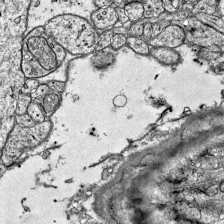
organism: Mouse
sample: Visual Cortex